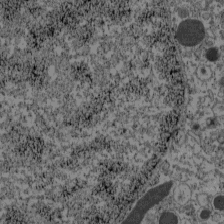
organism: C57BL Mouse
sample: Pancreatic islet